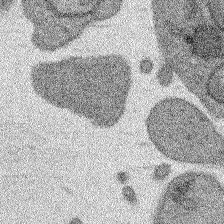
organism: Human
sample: HeLa cells